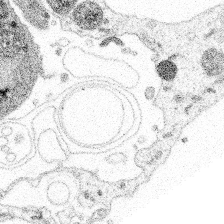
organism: Spongilla lacustris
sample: Multiple